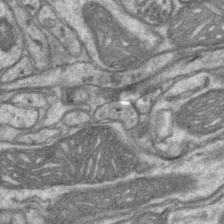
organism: Mouse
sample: CA1 Hippocampus